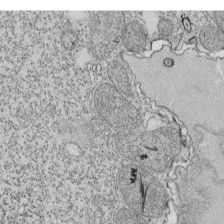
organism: Tetrahymena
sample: Cilia in tetrahymena